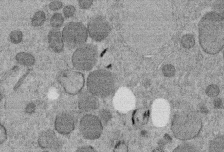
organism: C. elegans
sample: C. elegans embryo early stage